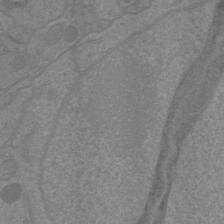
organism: Mouse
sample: Cortical neurons